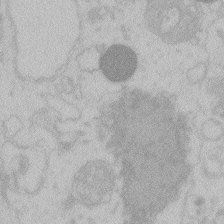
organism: Zebrafish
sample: Macrophage infected with Toxoplasma gondii